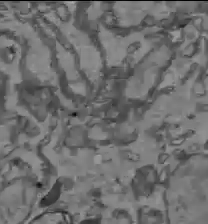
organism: C57BL Mouse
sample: Liver